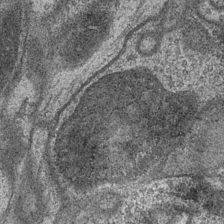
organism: Drosophila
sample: Optic medulla